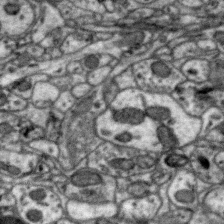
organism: Zebra finch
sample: Brain